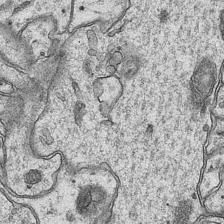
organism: Mouse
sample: CA1 Hippocampus